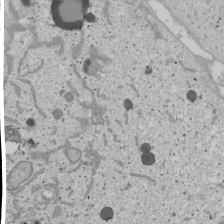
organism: Human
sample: Mitochondria in U2OS cells